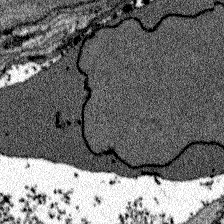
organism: Zebrafish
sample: Larval olfactory bulb